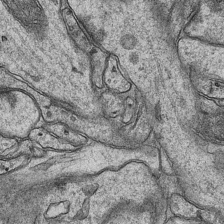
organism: Mouse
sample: CA1 Hippocampus